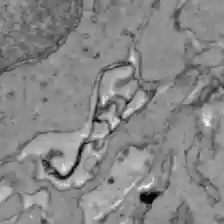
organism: C57BL Mouse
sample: Liver